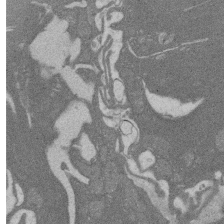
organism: Rat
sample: Salivary granule